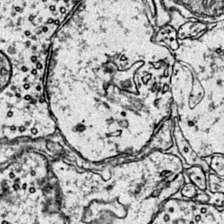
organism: Mouse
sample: Primary visual cortex